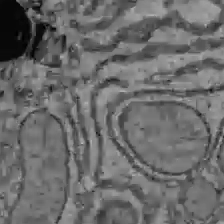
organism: C57BL Mouse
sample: Liver